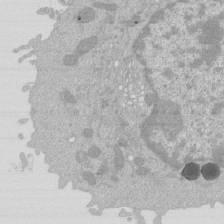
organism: Mouse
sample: Activated Pmel transgenic CD8+ T Cells